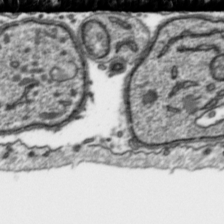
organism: Toxoplasma gondii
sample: Parasites in a vacuole inside a host cell